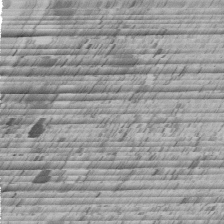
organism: C. elegans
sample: C. elegans embryo early stage